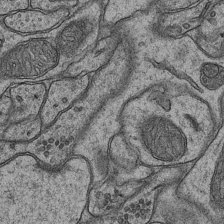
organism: Mouse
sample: CA1 Hippocampus